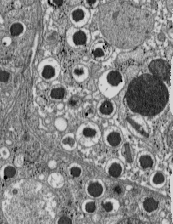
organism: C57BL Mouse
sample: Pancreatic islet